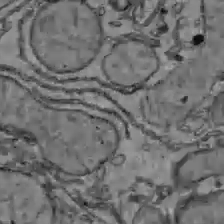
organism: C57BL Mouse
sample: Liver